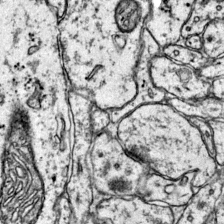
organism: Mouse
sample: Primary visual cortex